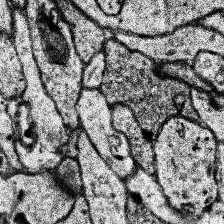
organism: Human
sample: Temporal Lobe